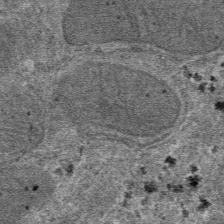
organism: Mouse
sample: Mouse hepatocytes